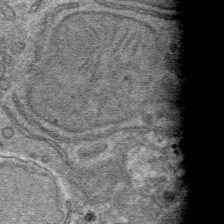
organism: Mouse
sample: Mouse hepatocytes